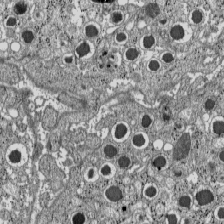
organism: C57BL Mouse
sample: Pancreatic islet